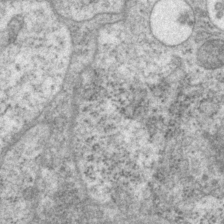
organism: P. pacificus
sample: Pharynx